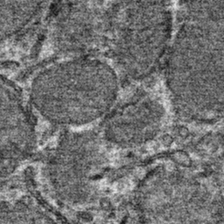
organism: Mouse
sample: Mouse hepatocytes